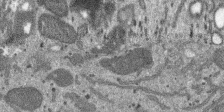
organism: Human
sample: Lung epithelial cells infected with SARS-CoV-2